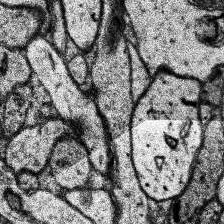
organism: Human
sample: Temporal Lobe